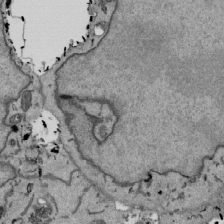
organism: Mouse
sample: ED-1 cell nuclei; centrioles